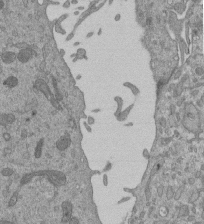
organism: Mouse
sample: ED-1 cell nuclei; centrioles